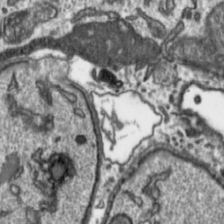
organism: Toxoplasma gondii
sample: Parasites in a vacuole inside a host cell